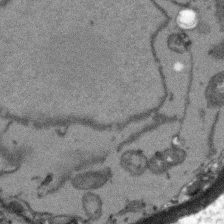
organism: Arabidopsis thaliana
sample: Root tip